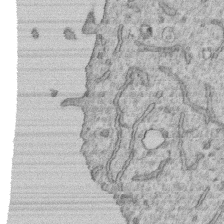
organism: Human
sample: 1205lu cells